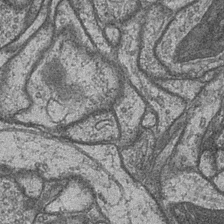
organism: Drosophila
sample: Optic medulla